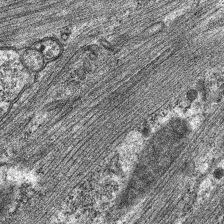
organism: C. elegans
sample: Pharynx